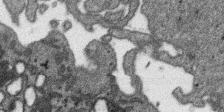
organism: Human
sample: Lung epithelial cells infected with SARS-CoV-2